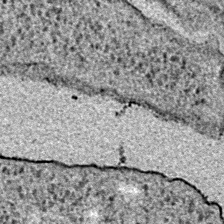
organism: E. coli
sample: E. Coli Bacteria